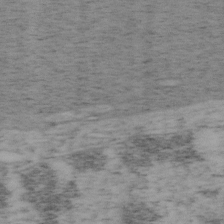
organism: Mouse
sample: OT-I killer T cells with ID8 ovarian cancer cells